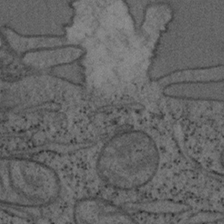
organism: Human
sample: HeLa cells